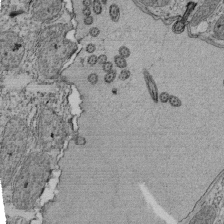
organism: Tetrahymena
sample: Cilia in tetrahymena